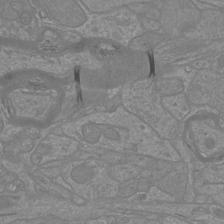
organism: Mouse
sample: Cortical neurons